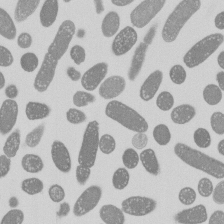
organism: E. coli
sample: Bacterial nucleoid